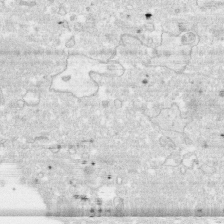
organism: Human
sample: CRL-1474